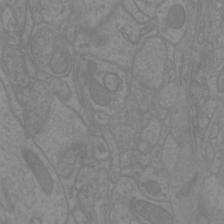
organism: Mouse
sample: Cortical neurons